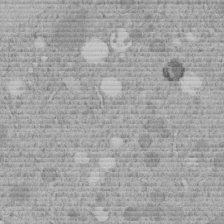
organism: C. elegans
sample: C. elegans embryo early stage